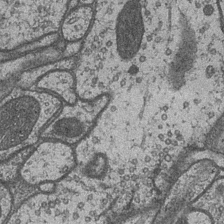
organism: Drosophila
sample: Optic medulla